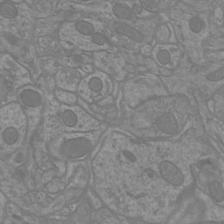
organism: Mouse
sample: Cortical neurons